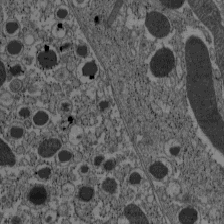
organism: C57BL Mouse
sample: Pancreatic islet